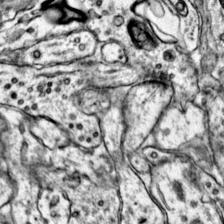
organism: Mouse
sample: Primary visual cortex